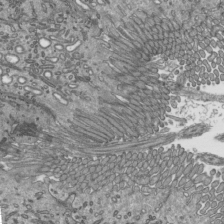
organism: Mouse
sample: Mouse epididymis efferent ductule cilia